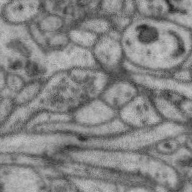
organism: Zebra finch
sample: Brain